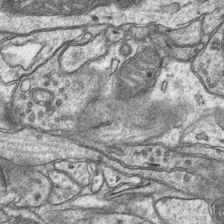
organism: Mouse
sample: CA1 Hippocampus